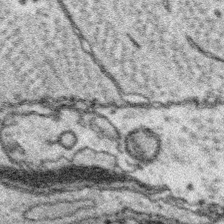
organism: Platynereis dumerilii